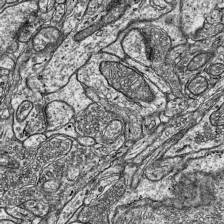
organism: Mouse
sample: Visual Cortex